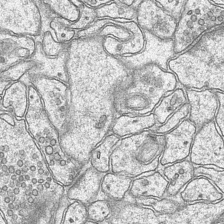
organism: Mouse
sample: CA1 Hippocampus